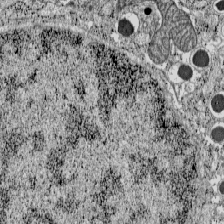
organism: C57BL Mouse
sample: Pancreatic islet